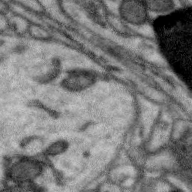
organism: Zebra finch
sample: Brain